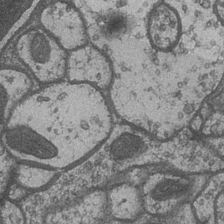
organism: Drosophila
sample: Optic medulla